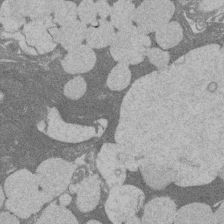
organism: Rat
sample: Salivary granule